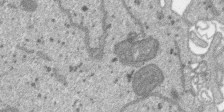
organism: Human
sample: Lung epithelial cells infected with SARS-CoV-2